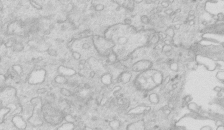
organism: Mouse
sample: Multiciliated cells